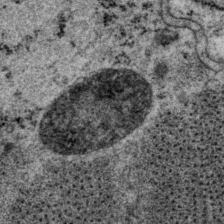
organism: P. pacificus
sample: Pharynx